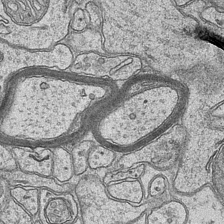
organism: Mouse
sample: CA1 Hippocampus